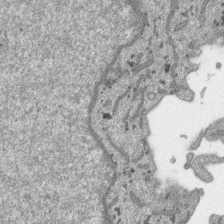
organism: Human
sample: Lung epithelial cells infected with SARS-CoV-2